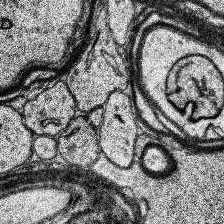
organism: Human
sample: Temporal Lobe